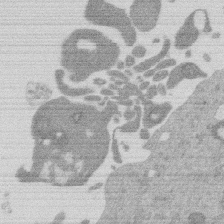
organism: Mouse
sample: Dividing mouse embryo 1 cell stage